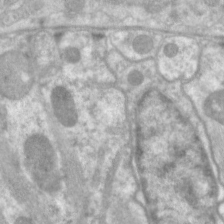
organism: C. elegans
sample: Pharynx